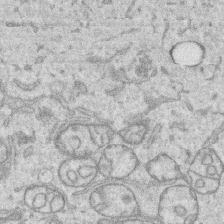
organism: Human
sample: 1205lu cells